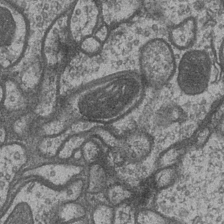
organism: Drosophila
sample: Optic medulla